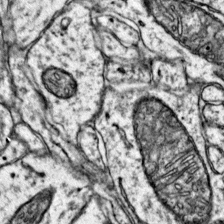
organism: Mouse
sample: Primary visual cortex